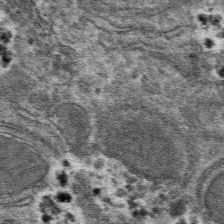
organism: Mouse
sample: Mouse hepatocytes